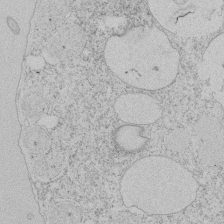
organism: Tetrahymena